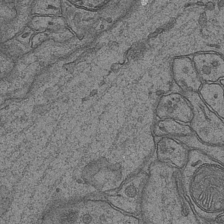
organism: Mouse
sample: CA1 Hippocampus